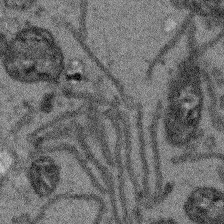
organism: Arabidopsis thaliana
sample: Root tip